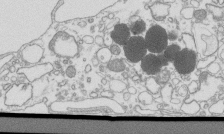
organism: Mouse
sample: Macrophages